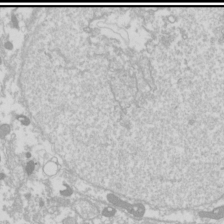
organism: Drosophila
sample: Cell division; meiosis; drosophila spermatocytes